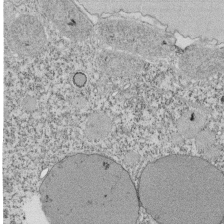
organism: Tetrahymena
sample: Cilia in tetrahymena